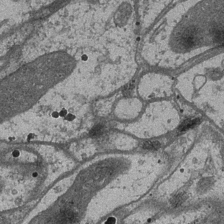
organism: Drosophila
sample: Optic medulla